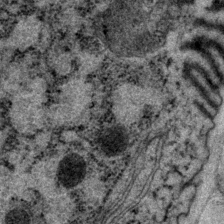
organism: P. pacificus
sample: Pharynx